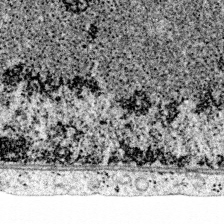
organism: Human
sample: HeLa cells